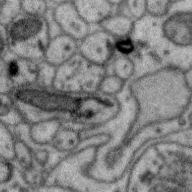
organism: Zebra finch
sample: Brain